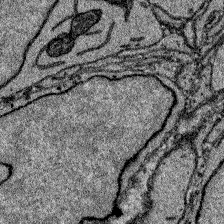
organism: Zebrafish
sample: Larval olfactory bulb